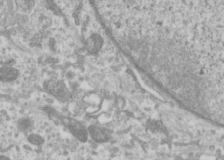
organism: Human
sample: Cilia; basal body in RPE cells